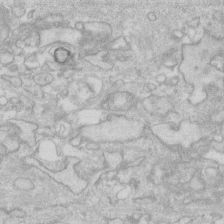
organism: Human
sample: Fibroblast cells